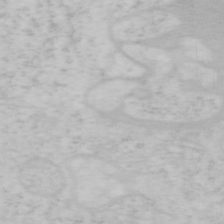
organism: Mouse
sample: OT-I killer T cells with ID8 ovarian cancer cells